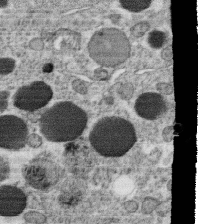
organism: C. elegans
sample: C. elegans oocyte; sperm cells